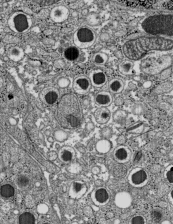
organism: C57BL Mouse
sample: Pancreatic islet